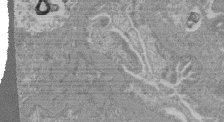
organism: Mouse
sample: Glomerulus